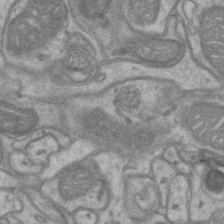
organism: Mouse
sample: CA1 Hippocampus